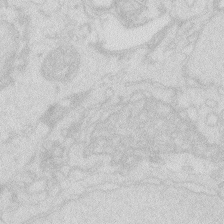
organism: Zebrafish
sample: Macrophage